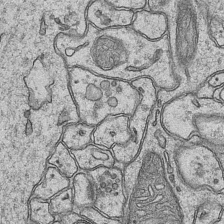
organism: Mouse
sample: CA1 Hippocampus